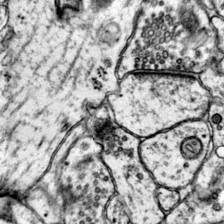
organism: Mouse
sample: Primary visual cortex